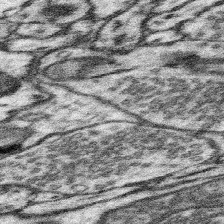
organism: Mouse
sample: Somatosensory cortex neuropil